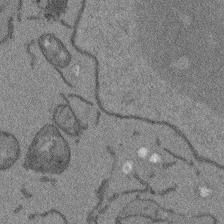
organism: Arabidopsis thaliana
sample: Root tip